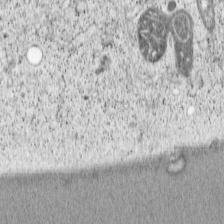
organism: African green monkey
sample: COS-7 cells